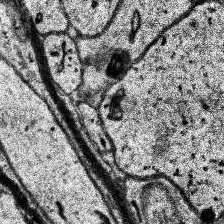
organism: Human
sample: Temporal Lobe